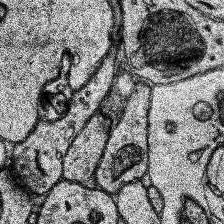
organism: Human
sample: Temporal Lobe